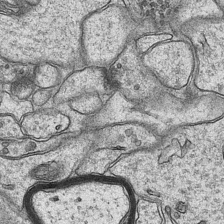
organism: Mouse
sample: CA1 Hippocampus